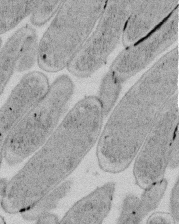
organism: E. coli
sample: Bacterial nucleoid